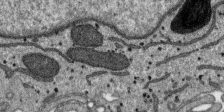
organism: Human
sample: Lung epithelial cells, uninfected (mock) control